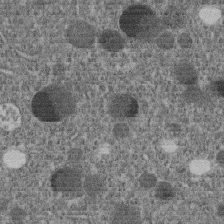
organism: C. elegans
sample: C. elegans embryo early stage